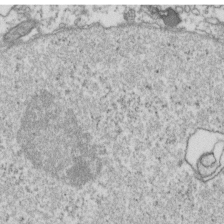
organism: Human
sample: Activated Jurkat CD4+ T cells